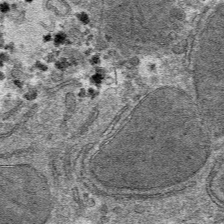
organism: Mouse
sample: Mouse hepatocytes